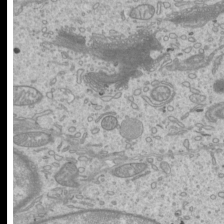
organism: Mouse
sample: Cilia; mouse epididymis